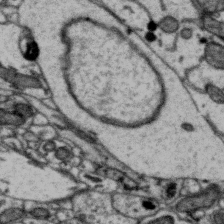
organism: Zebra finch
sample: Brain